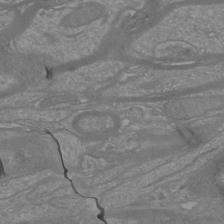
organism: Mouse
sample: Cortical neurons